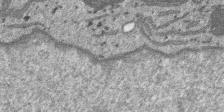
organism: Human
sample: Lung epithelial cells infected with SARS-CoV-2